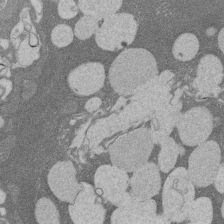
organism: Rat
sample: Salivary granule